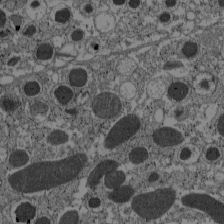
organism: C57BL Mouse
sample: Pancreatic islet